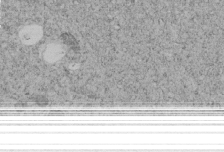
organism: C. elegans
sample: C. elegans embryo early stage